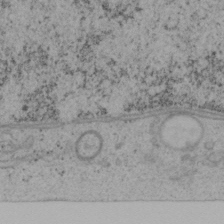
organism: Human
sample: HeLa cells